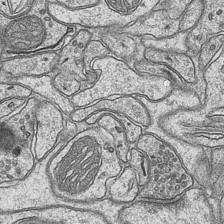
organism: Mouse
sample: CA1 Hippocampus